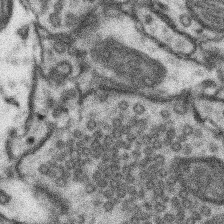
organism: Mouse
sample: Somatosensory cortex neuropil